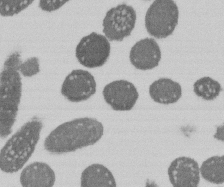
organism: E. coli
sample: Bacterial nucleoid